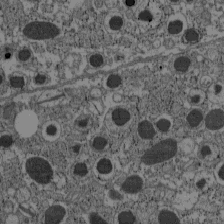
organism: C57BL Mouse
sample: Pancreatic islet